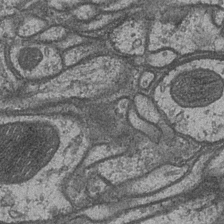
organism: Drosophila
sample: Optic medulla